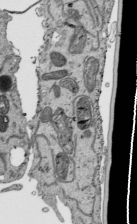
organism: Human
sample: Mitochondria in HCT116 cells